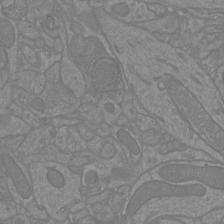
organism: Mouse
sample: Cortical neurons